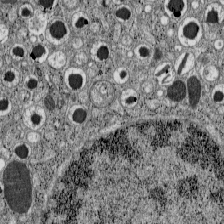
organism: C57BL Mouse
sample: Pancreatic islet